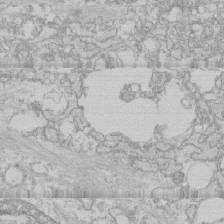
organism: Human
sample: CRL-1474